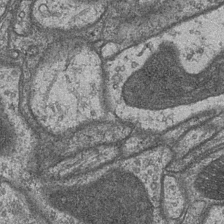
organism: Drosophila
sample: Optic medulla